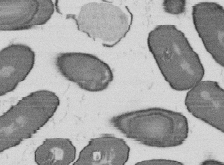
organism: B. subtilis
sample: Bacterial spore